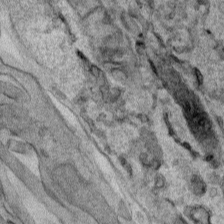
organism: Human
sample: Mitochondria in HCT116 cells